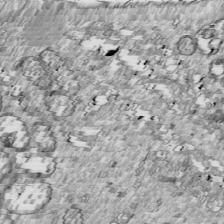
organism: Drosophila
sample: Cell division; meiosis; drosophila spermatocytes